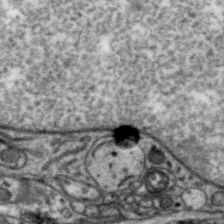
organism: Zebra finch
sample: Brain